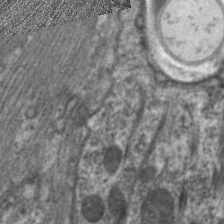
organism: C. elegans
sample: Pharynx